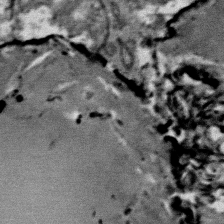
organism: Mouse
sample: Mouse Salivary gland